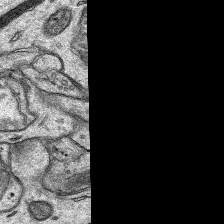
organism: Rat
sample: Hippocampus